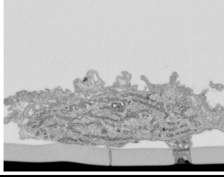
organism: Human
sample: Mitochondria in HCT116 cells